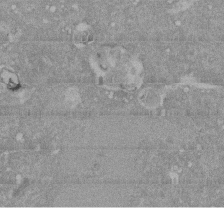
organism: Mouse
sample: ED-1 cell nuclei; centrioles